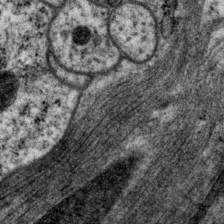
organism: P. pacificus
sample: Pharynx